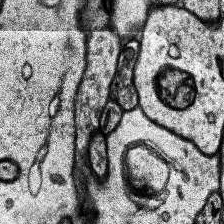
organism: Human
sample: Temporal Lobe